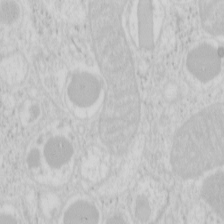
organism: Mouse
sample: Pancreas